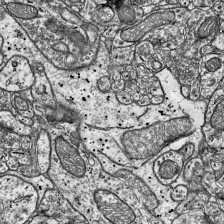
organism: Mouse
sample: Visual Cortex